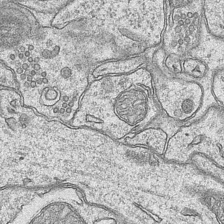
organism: Mouse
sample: CA1 Hippocampus